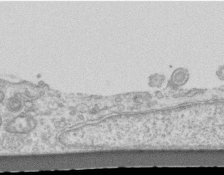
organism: Mouse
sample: Centriole in ependymal cells